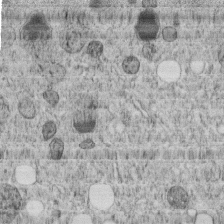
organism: C. elegans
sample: C. elegans embryo early stage